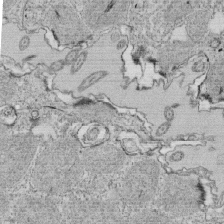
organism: Tetrahymena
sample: Cilia in tetrahymena